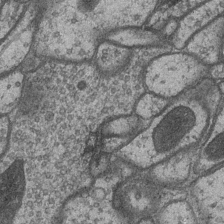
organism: Drosophila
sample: Optic medulla